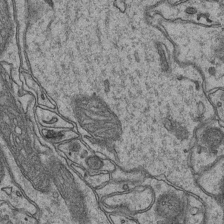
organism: Mouse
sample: CA1 Hippocampus